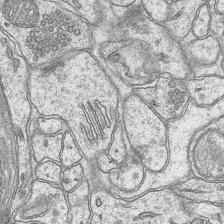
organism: Mouse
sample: CA1 Hippocampus